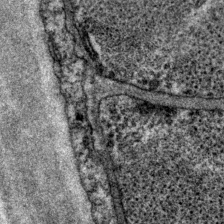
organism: P. pacificus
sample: Pharynx